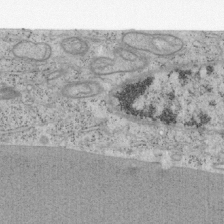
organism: Human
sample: HeLa cells